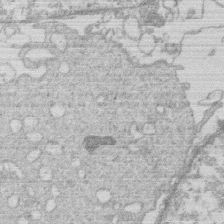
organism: Human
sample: Macrophage cells